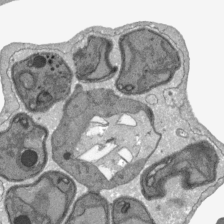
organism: Plasmodium falciparum